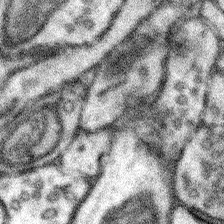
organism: Mouse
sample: Somatosensory cortex neuropil